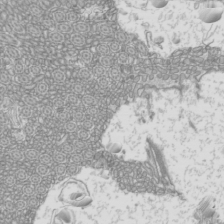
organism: Mouse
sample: Cilia; mouse epididymis